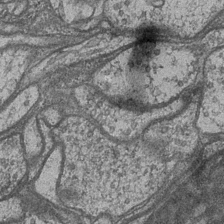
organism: Drosophila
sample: Optic medulla